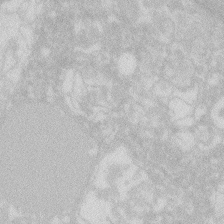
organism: Zebrafish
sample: Macrophage